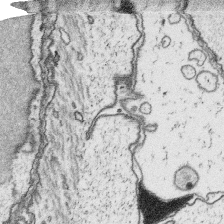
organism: Platynereis dumerilii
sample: Parapodia